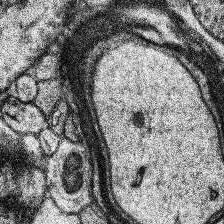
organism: Human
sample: Temporal Lobe